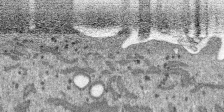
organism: Human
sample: Lung epithelial cells infected with SARS-CoV-2